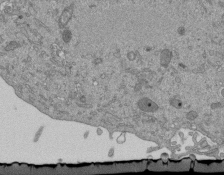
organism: Mouse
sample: ED-1 cell nuclei; centrioles